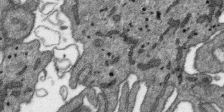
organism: Human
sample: Lung epithelial cells, uninfected (mock) control